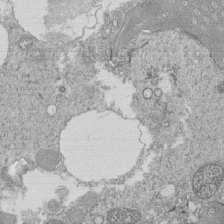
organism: Tetrahymena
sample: Cilia in tetrahymena